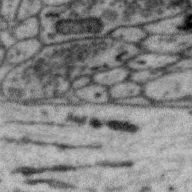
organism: Zebra finch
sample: Brain